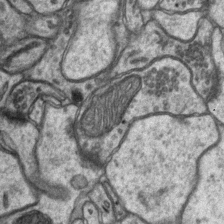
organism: Mouse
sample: CA1 Hippocampus